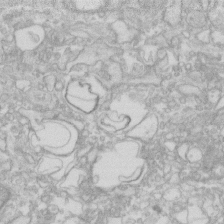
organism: Human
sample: Fibroblast cells